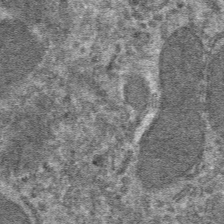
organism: Mouse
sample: Mouse hepatocytes